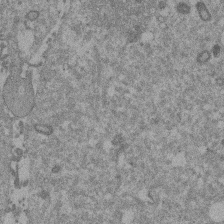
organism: Mouse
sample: Dividing mouse embryo 1 cell stage